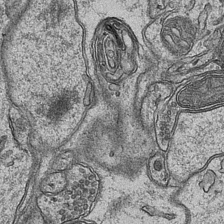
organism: Mouse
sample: CA1 Hippocampus